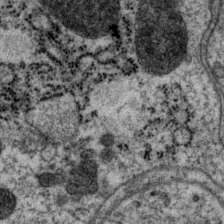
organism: P. pacificus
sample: Pharynx